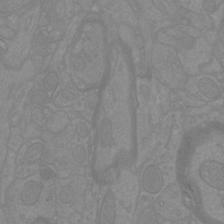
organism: Mouse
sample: Cortical neurons